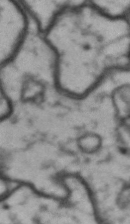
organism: Drosophila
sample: Brain